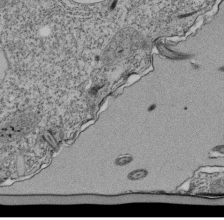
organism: Tetrahymena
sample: Cilia in tetrahymena